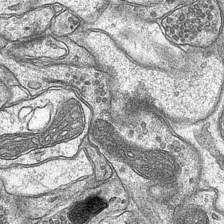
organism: Mouse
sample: CA1 Hippocampus